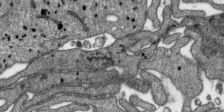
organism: Human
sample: Lung epithelial cells, uninfected (mock) control